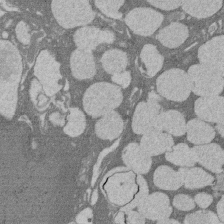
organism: Rat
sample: Salivary granule